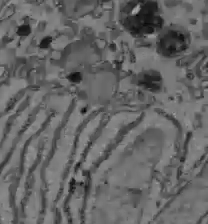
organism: C57BL Mouse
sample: Liver